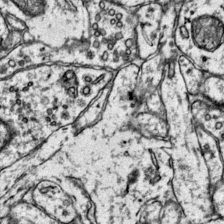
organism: Mouse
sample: Primary visual cortex